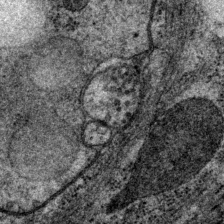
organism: P. pacificus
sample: Pharynx